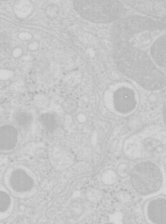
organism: Mouse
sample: Pancreas